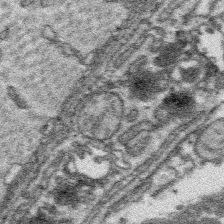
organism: Platynereis dumerilii